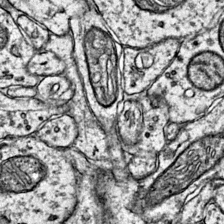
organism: Mouse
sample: Primary visual cortex